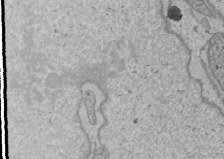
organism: Human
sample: Mitochondria in U2OS cells